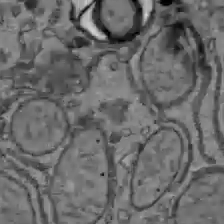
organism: C57BL Mouse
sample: Liver